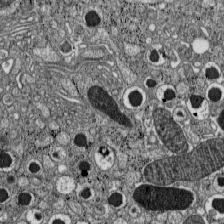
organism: C57BL Mouse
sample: Pancreatic islet